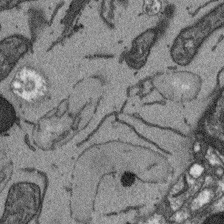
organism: Arabidopsis thaliana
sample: Root tip